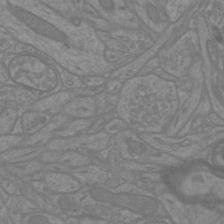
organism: Mouse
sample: Cortical neurons